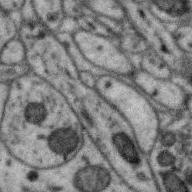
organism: Zebra finch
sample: Brain